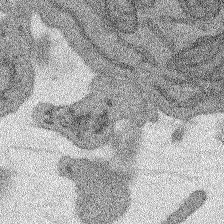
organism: Human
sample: HeLa cells